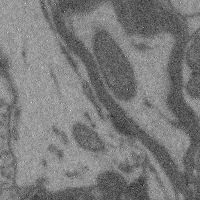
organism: Mouse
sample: Cerebral cortex